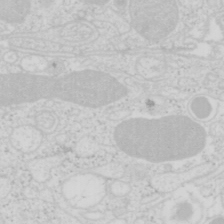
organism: Mouse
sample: Pancreas